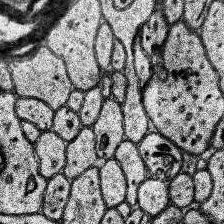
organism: Human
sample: Temporal Lobe